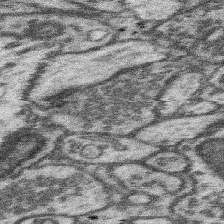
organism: Mouse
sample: Somatosensory cortex neuropil